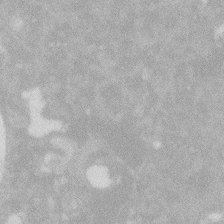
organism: Zebrafish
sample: Macrophage